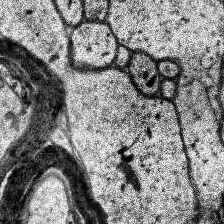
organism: Human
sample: Temporal Lobe